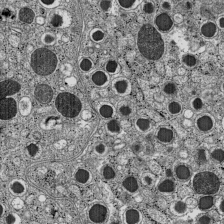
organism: C57BL Mouse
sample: Pancreatic islet